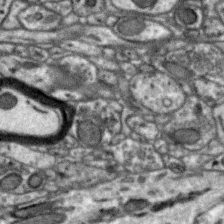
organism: Zebra finch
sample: Brain